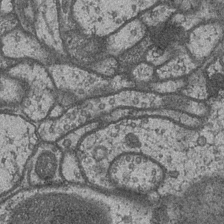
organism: Drosophila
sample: Optic medulla